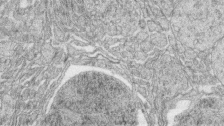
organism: Zebrafish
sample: synaptic ribbons in rod cells and cone cells